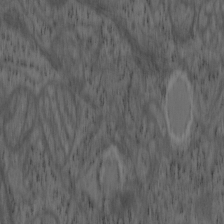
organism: Human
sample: HeLa cells